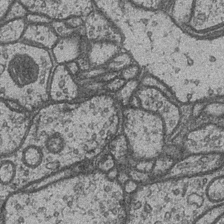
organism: Drosophila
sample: Optic medulla